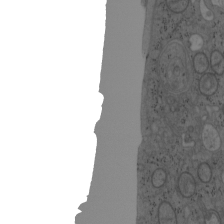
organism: Mouse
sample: OT-I killer T cells with ID8 ovarian cancer cells